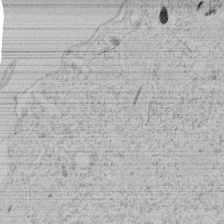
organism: Tetrahymena